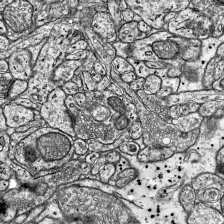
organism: Mouse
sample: Visual Cortex